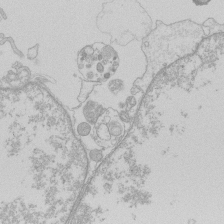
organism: Human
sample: Macrophage cells